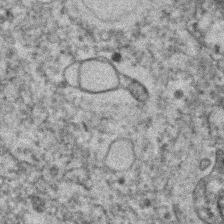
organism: Human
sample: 1205lu cells